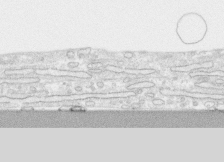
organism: Human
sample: CRL-1474